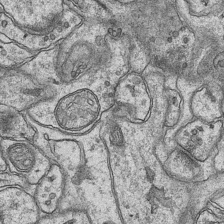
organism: Mouse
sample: CA1 Hippocampus